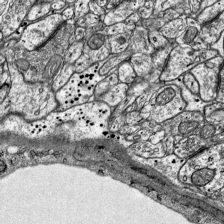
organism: Mouse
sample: Visual Cortex